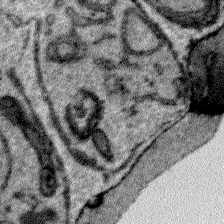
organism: Plasmodium falciparum